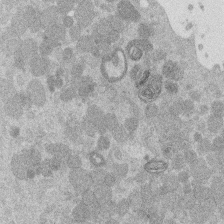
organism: Mouse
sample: Dividing mouse embryo 1 cell stage